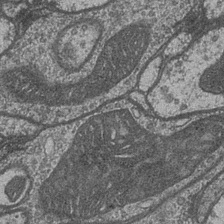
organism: Drosophila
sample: Optic medulla